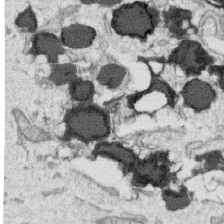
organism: Human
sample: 1205lu cells